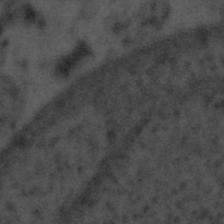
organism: Tuwongella immobilis